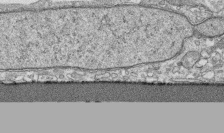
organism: Human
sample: CRL-1474